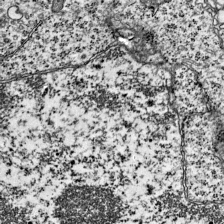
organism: Mouse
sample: Visual Cortex